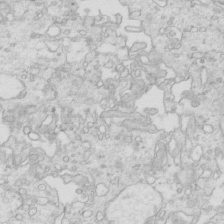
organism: Mouse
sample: Multiciliated cells